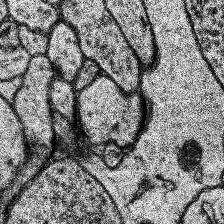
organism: Human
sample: Temporal Lobe